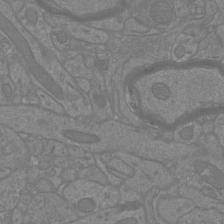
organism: Mouse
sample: Cortical neurons